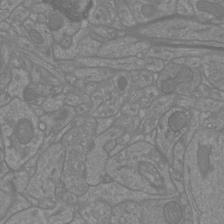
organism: Mouse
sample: Cortical neurons